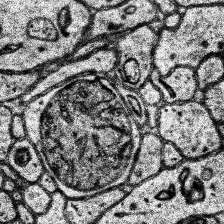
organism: Human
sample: Temporal Lobe